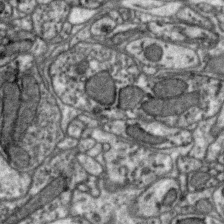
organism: Zebra finch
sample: Brain